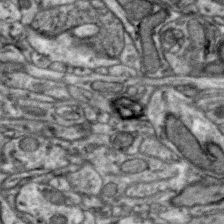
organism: Zebra finch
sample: Brain